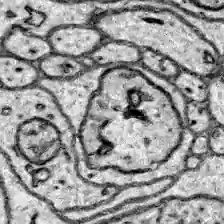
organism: Zebrafish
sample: Brain